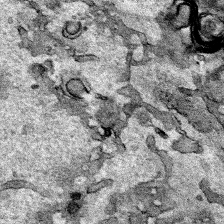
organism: Human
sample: Mitochondria in HCT116 cells